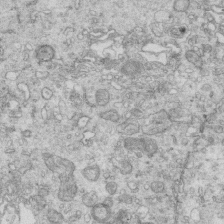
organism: Mouse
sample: Multiciliated cells